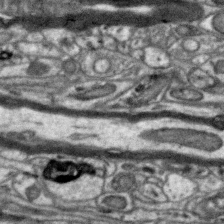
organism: Zebra finch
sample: Brain